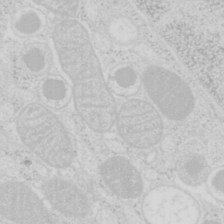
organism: Mouse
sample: Pancreas